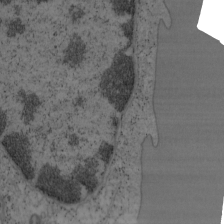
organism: Mouse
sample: OT-I killer T cells with ID8 ovarian cancer cells